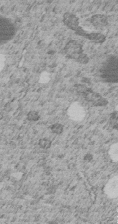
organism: C. elegans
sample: C. elegans embryo early stage